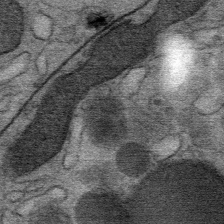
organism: Mouse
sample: Mouse Salivary gland